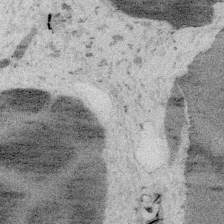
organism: Embia sp.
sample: Silk gland